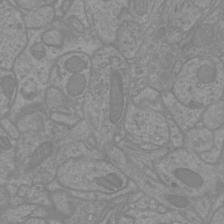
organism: Mouse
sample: Cortical neurons